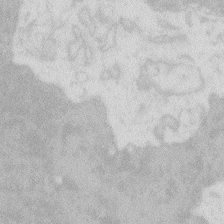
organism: Zebrafish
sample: Macrophage